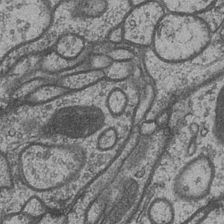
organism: Drosophila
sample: Optic medulla